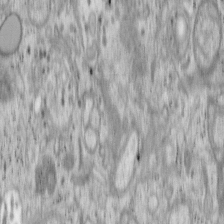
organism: Human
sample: HeLa cells